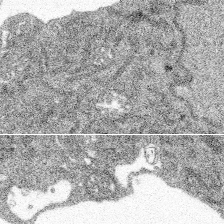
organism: Spongilla lacustris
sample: Multiple